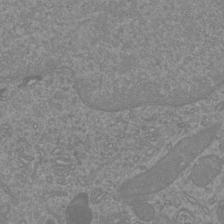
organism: Mouse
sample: Cortical neurons